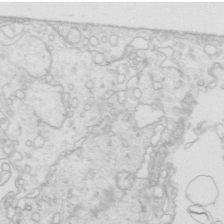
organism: Mouse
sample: Multiciliated cells